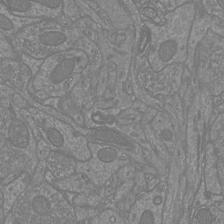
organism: Mouse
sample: Cortical neurons